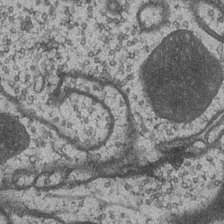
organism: Drosophila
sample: Optic medulla